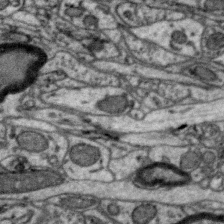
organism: Zebra finch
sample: Brain